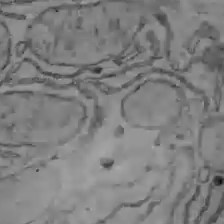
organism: C57BL Mouse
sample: Liver